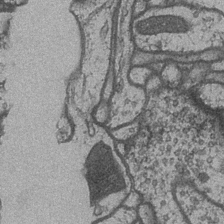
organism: Drosophila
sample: Optic medulla